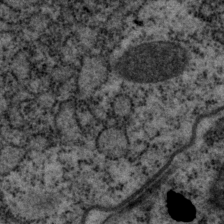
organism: P. pacificus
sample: Pharynx